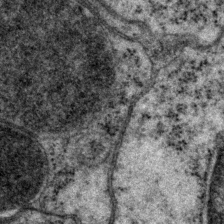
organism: P. pacificus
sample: Pharynx